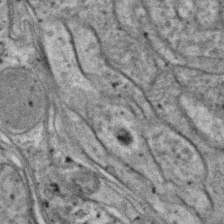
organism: C. elegans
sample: C. elegans embryo